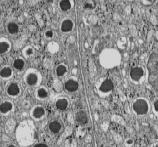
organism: C57BL Mouse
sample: Pancreatic islet